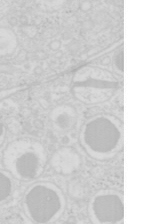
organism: Mouse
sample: Pancreas